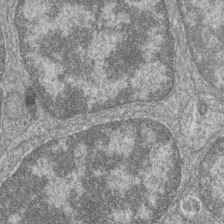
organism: Zebrafish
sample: Cilia; retinal pigment epithelium